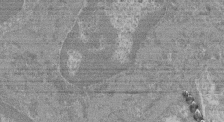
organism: Mouse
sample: Glomerulus